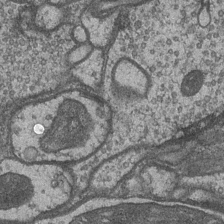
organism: Drosophila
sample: Optic medulla